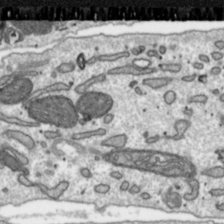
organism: Toxoplasma gondii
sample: Parasites in a vacuole inside a host cell